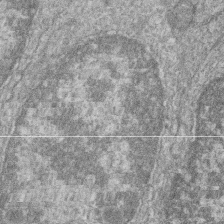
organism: Zebrafish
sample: Cilia; retinal pigment epithelium